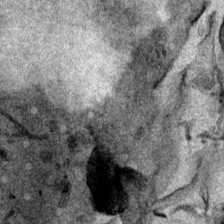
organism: Mouse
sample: Cancer cell death in ED-1 cells